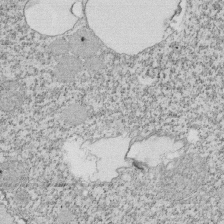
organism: Tetrahymena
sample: Cilia in tetrahymena